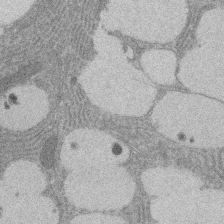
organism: Rat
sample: Salivary granule